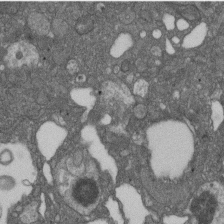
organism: Drosophila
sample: Nephrocyte